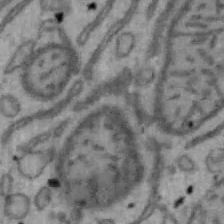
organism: Mouse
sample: Liver